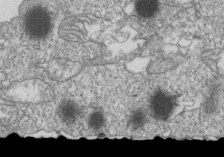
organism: Human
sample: HeLa cell HIV synapse